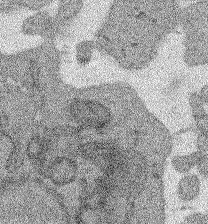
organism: Human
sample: HeLa cells